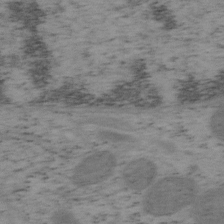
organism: Mouse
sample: OT-I killer T cells with ID8 ovarian cancer cells